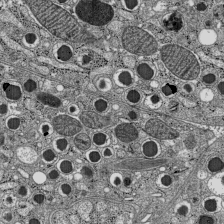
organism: C57BL Mouse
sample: Pancreatic islet